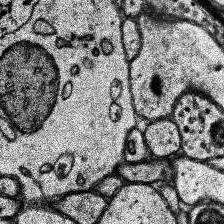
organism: Human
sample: Temporal Lobe